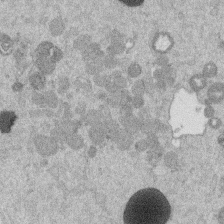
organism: Mouse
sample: Dividing mouse embryo 1 cell stage